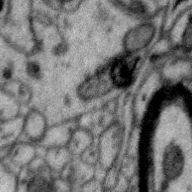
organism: Zebra finch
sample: Brain